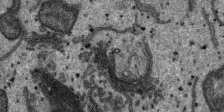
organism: Human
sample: Lung epithelial cells, uninfected (mock) control